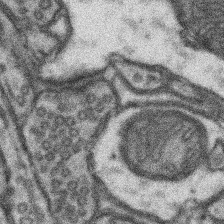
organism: Mouse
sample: Somatosensory cortex neuropil